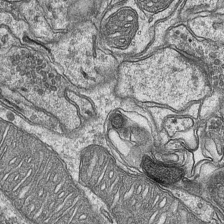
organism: Mouse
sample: CA1 Hippocampus